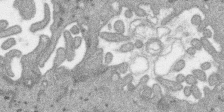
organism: Human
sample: Lung epithelial cells infected with SARS-CoV-2